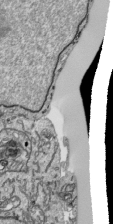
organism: Human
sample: Mitochondria in HCT116 cells